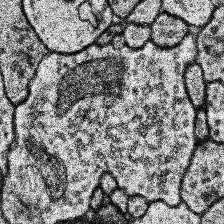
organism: Human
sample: Temporal Lobe